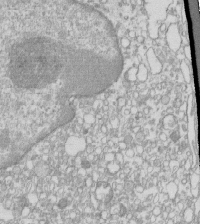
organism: Mouse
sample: Macrophages